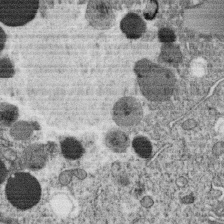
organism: C. elegans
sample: C. elegans oocyte; sperm cells